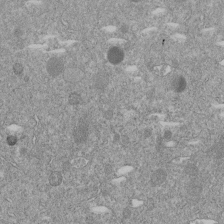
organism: C. elegans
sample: C. elegans embryo early stage